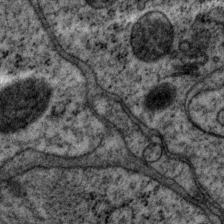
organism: P. pacificus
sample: Pharynx